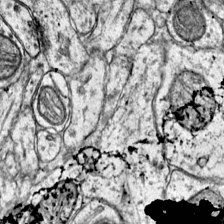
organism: Mouse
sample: Primary visual cortex